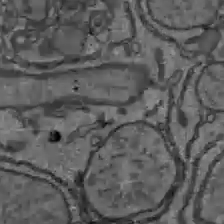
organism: C57BL Mouse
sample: Liver